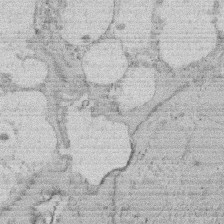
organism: Rat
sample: Salivary granule